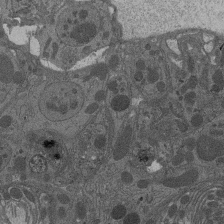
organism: Drosophila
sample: Antenna